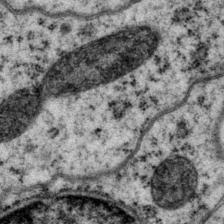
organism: P. pacificus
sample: Pharynx